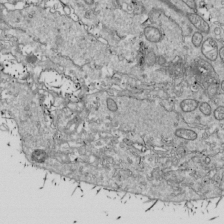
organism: Drosophila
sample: Cell division; meiosis; drosophila spermatocytes